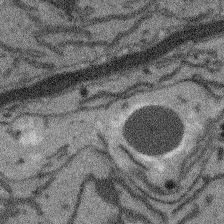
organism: Arabidopsis thaliana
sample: Root tip